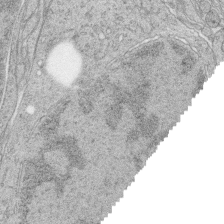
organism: Zebrafish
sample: synaptic ribbons in rod cells and cone cells